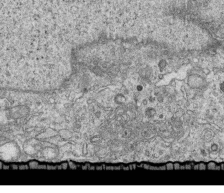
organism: Human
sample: HeLa cell HIV synapse